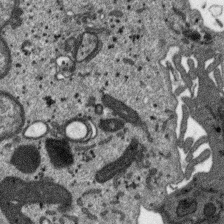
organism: Human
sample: Lung epithelial cells infected with SARS-CoV-2